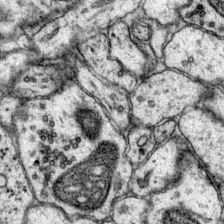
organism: Mouse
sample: Primary visual cortex